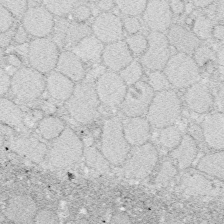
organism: Zebrafish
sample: Whole-Brain